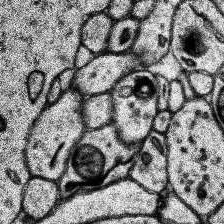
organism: Human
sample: Temporal Lobe